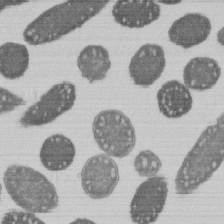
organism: E. coli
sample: Bacterial nucleoid